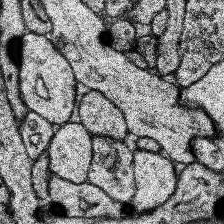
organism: Human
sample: Temporal Lobe